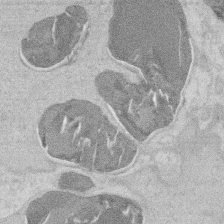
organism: Mouse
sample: T cell stromal cell synapse